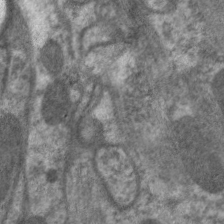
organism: C. elegans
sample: Pharynx